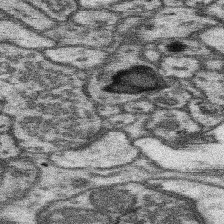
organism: Mouse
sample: Somatosensory cortex neuropil